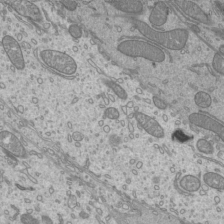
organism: Mouse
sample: Cilia; mouse epididymis